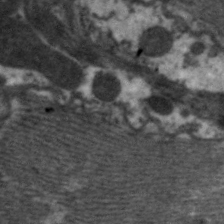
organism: C. elegans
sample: Pharynx